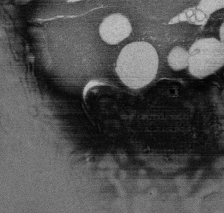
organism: Rat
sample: Salivary granule